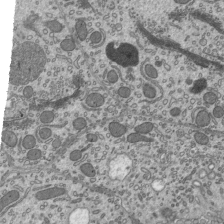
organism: Mouse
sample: Mouse epididymis efferent ductule cilia